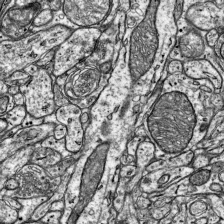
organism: Mouse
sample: Visual Cortex